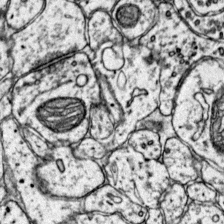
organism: Mouse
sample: Primary visual cortex